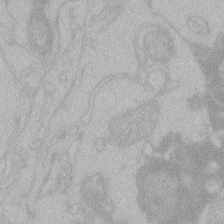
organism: Zebrafish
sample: Macrophage infected with Toxoplasma gondii